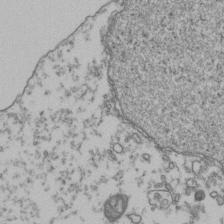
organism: Human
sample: Activated Jurkat CD4+ T cells